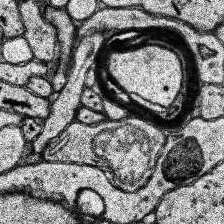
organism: Human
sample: Temporal Lobe